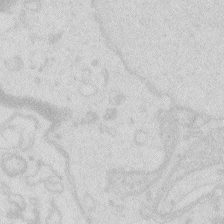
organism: Zebrafish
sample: Macrophage